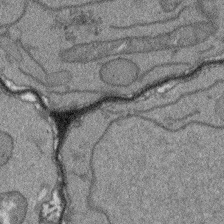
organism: Arabidopsis thaliana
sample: Root tip